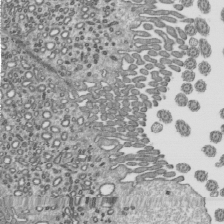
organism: Mouse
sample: Mouse epididymis efferent ductule cilia